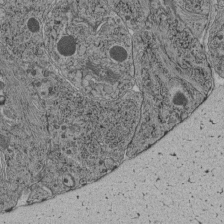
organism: C. elegans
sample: C. elegans pharynx